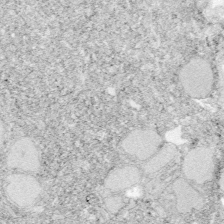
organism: Zebrafish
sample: Whole-Brain